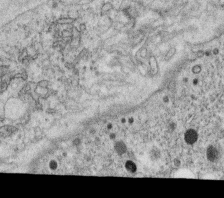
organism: C. elegans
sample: C. elegans oocyte; sperm cells